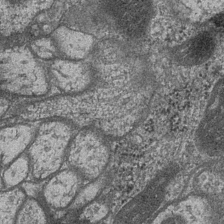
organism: Drosophila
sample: Optic medulla